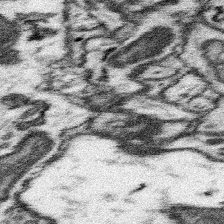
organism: Mouse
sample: Somatosensory cortex neuropil